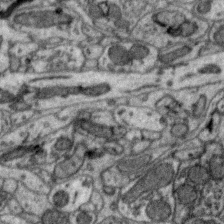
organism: Zebra finch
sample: Brain